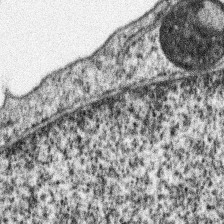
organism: Human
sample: HeLa cells